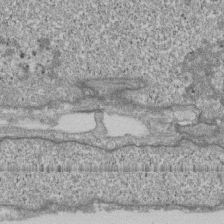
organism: Human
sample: Fibroblast cells